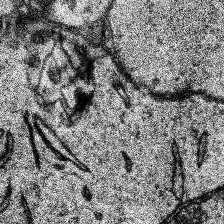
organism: Human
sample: Temporal Lobe